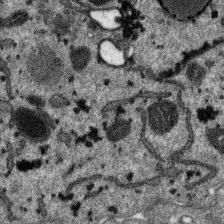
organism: Human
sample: Lung epithelial cells infected with SARS-CoV-2